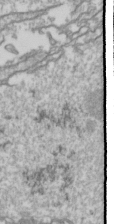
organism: Drosophila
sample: Cell division; meiosis; drosophila spermatocytes